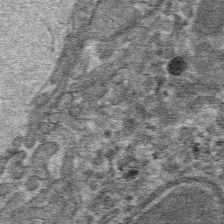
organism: Mouse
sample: Mouse hepatocytes